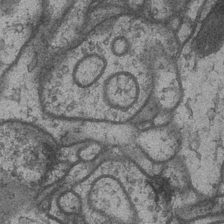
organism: Drosophila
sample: Optic medulla